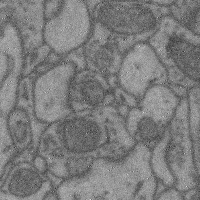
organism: Mouse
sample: Cerebral cortex